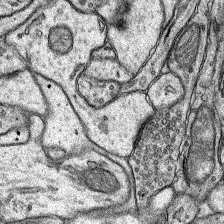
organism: Rat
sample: Hippocampus